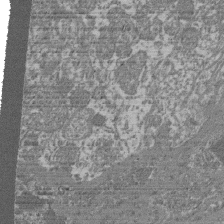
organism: Mouse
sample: Glomerulus